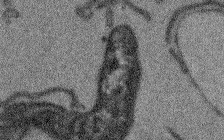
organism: Arabidopsis thaliana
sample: Root tip